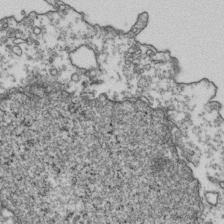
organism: Human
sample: Activated Jurkat CD4+ T cells